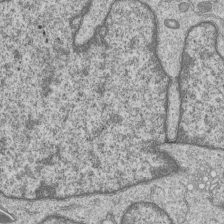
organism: Human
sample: MDA-MB-231 cells